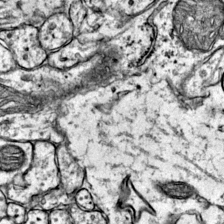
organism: Mouse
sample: Primary visual cortex